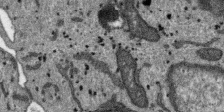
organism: Human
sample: Lung epithelial cells, uninfected (mock) control